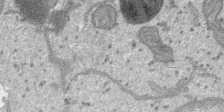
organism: Human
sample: Lung epithelial cells infected with SARS-CoV-2